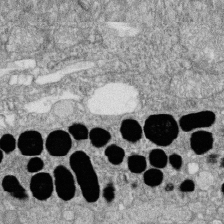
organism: Zebrafish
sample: Cilia; retinal pigment epithelium